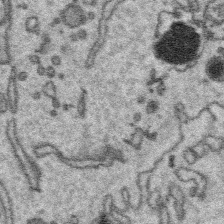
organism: Platynereis dumerilii